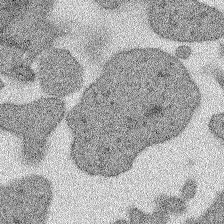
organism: Human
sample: HeLa cells